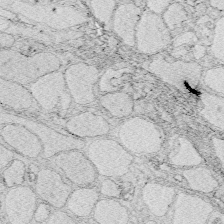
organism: Zebrafish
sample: Whole-Brain